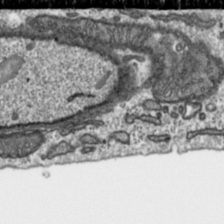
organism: Toxoplasma gondii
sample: Parasites in a vacuole inside a host cell